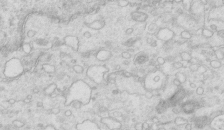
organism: Mouse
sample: Multiciliated cells